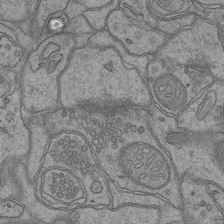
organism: Mouse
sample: CA1 Hippocampus